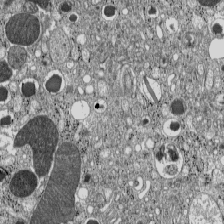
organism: C57BL Mouse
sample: Pancreatic islet